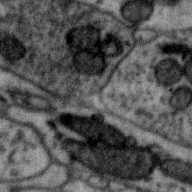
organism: Zebra finch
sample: Brain